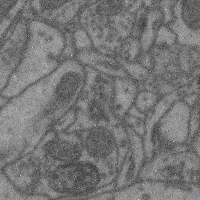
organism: Mouse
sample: Cerebral cortex